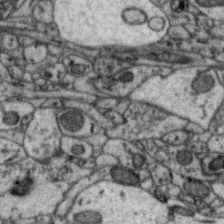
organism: Zebra finch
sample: Brain